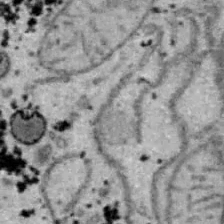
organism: Mouse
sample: Liver from an obese (ob/ob) mouse